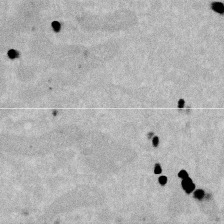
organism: Human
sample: HIV infected U937 cells